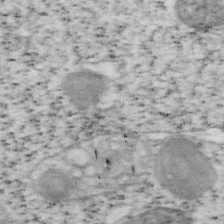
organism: Mouse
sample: OT-I killer T cells with ID8 ovarian cancer cells